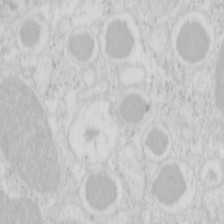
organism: Mouse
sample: Pancreas